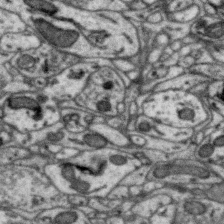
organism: Zebra finch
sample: Brain